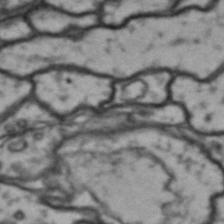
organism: Drosophila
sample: Brain